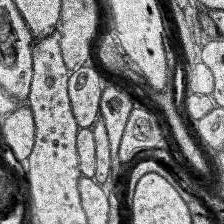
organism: Human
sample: Temporal Lobe